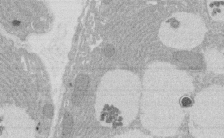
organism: Rat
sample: Salivary granule